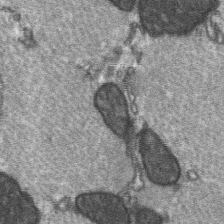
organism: C57BL Mouse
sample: Soleus